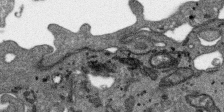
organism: Human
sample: Lung epithelial cells, uninfected (mock) control